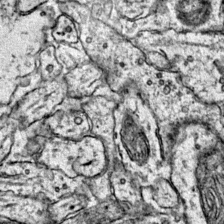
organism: Mouse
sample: Primary visual cortex